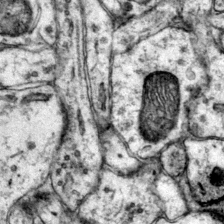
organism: Mouse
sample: Primary visual cortex